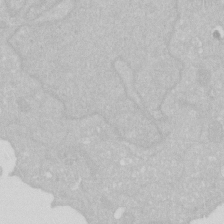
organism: Human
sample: HIV infected U937 cells